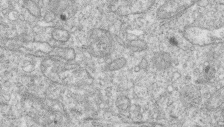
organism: Human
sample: HeLa cell HIV synapse